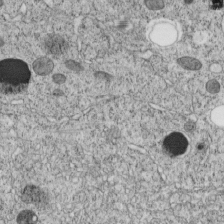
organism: C. elegans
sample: C. elegans embryo early stage